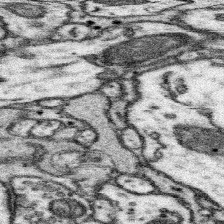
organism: Mouse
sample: Somatosensory cortex neuropil